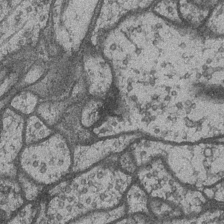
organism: Drosophila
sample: Optic medulla